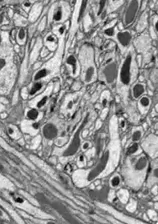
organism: Drosophila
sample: Optic lobe